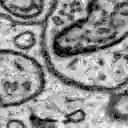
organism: Zebrafish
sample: Brain